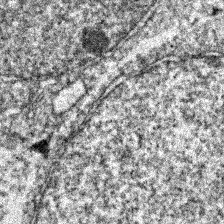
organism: Zebrafish